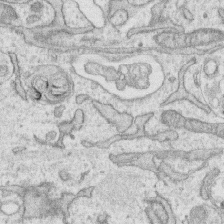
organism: Human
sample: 1205lu cells